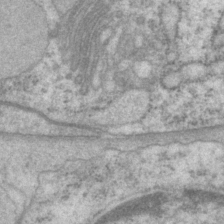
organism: P. pacificus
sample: Pharynx